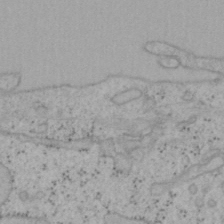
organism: Human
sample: HeLa cells